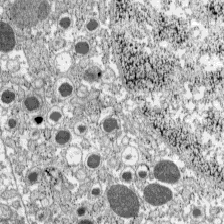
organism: C57BL Mouse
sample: Pancreatic islet